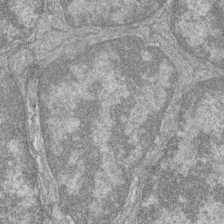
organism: Zebrafish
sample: Cilia; retinal pigment epithelium